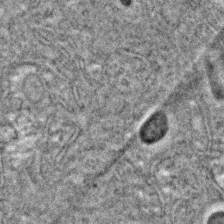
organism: C. elegans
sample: C. elegans embryo